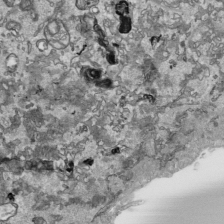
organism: Human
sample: Mitochondria in HCT116 cells